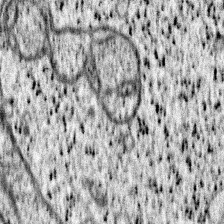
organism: Human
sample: HeLa cells